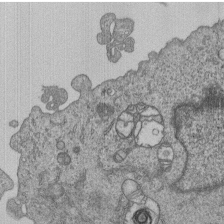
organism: Human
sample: MDA-MB-231 cells